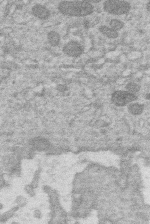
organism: Human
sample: Macrophage cells